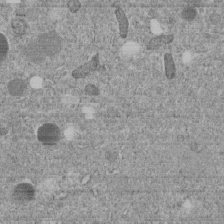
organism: C. elegans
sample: C. elegans embryo early stage